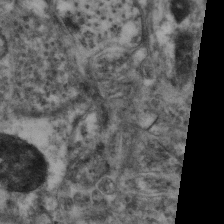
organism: Mouse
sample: Neocortex